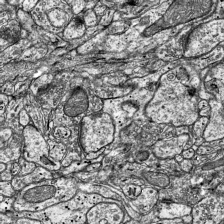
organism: Mouse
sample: Visual Cortex